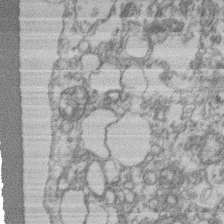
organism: Mouse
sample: T cell stromal cell synapse